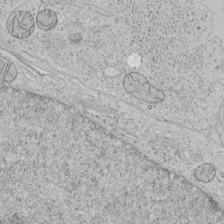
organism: Human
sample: Mitochondria in HCT116 cells